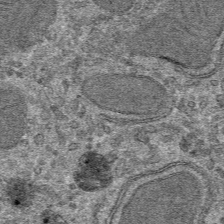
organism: Mouse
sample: Mouse hepatocytes